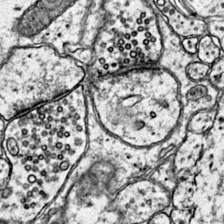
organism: Mouse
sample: Primary visual cortex